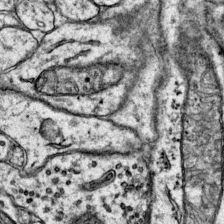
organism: Mouse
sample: Primary visual cortex